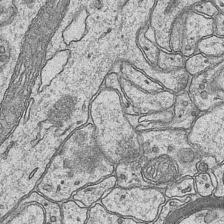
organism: Mouse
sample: CA1 Hippocampus